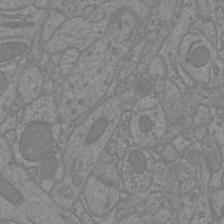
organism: Mouse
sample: Cortical neurons